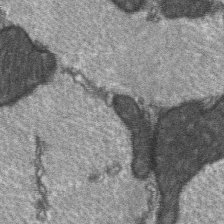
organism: C57BL Mouse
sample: Soleus